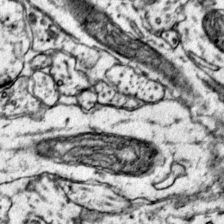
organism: Mouse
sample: Primary visual cortex